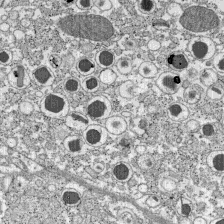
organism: C57BL Mouse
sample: Pancreatic islet